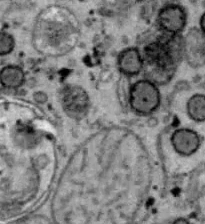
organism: Mouse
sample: Liver from an obese (ob/ob) mouse